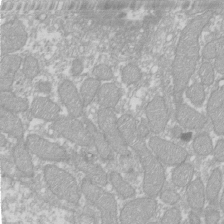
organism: Xenopus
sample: Cilia; centrioles in frog embryo cells